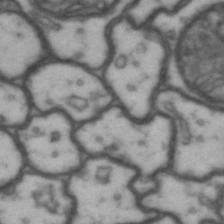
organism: Drosophila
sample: Brain